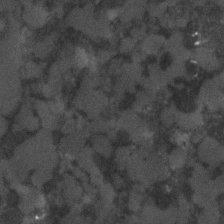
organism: C. elegans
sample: C. elegans embryo